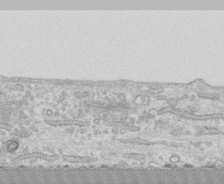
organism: Human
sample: CRL-1474